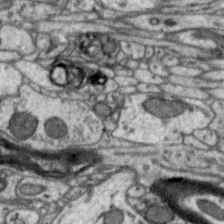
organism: Zebra finch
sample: Brain